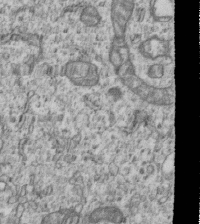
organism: Human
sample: MDA-MB-231 cells